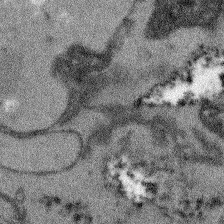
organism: Arabidopsis thaliana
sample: Root tip